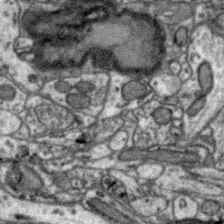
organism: Zebra finch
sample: Brain